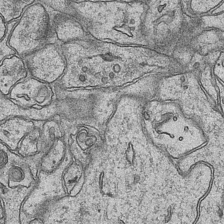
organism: Mouse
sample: CA1 Hippocampus